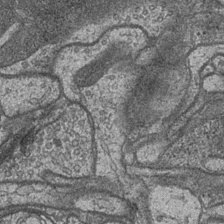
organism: Drosophila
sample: Optic medulla